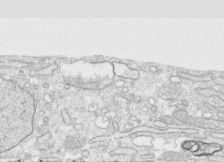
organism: Human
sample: CRL-1474